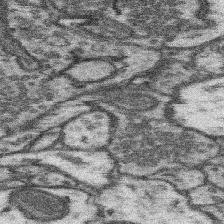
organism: Mouse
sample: Somatosensory cortex neuropil